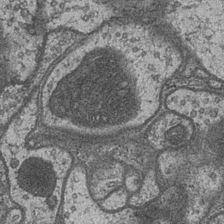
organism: Drosophila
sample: Optic medulla